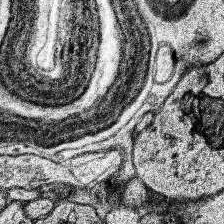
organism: Human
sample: Temporal Lobe